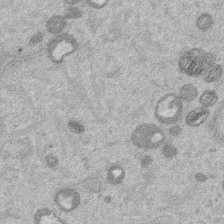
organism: Mouse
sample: Dividing mouse embryo 1 cell stage